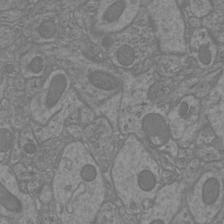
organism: Mouse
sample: Cortical neurons